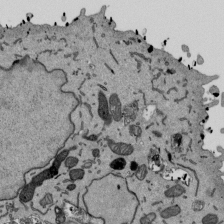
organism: Mouse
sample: ED-1 cell nuclei; centrioles